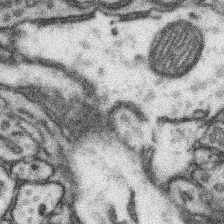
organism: Mouse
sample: Somatosensory cortex neuropil